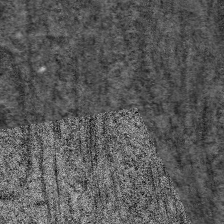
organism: C. elegans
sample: Pharynx